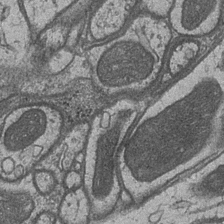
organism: Drosophila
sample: Optic medulla